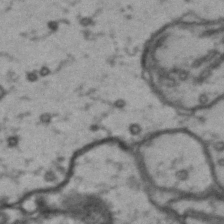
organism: Drosophila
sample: Brain